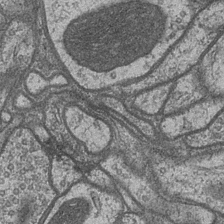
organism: Drosophila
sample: Optic medulla